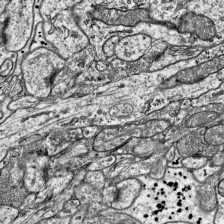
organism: Mouse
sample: Visual Cortex